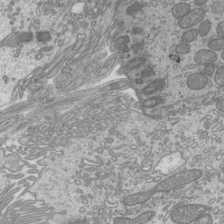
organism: Mouse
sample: Cilia; mouse epididymis